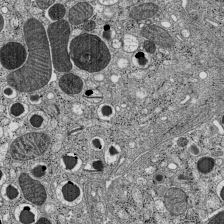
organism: C57BL Mouse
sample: Pancreatic islet